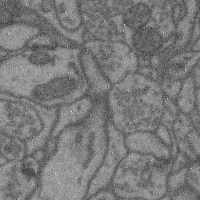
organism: Mouse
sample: Cerebral cortex